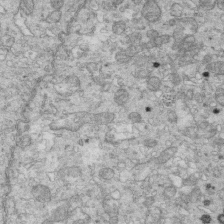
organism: Mouse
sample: Multiciliated cells